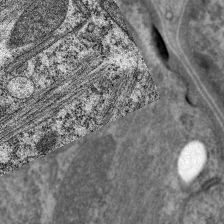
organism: C. elegans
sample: Pharynx